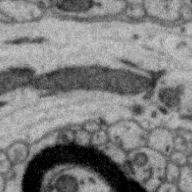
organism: Zebra finch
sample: Brain